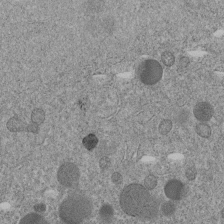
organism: C. elegans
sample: C. elegans embryo early stage